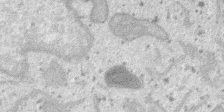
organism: Human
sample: Lung epithelial cells infected with SARS-CoV-2